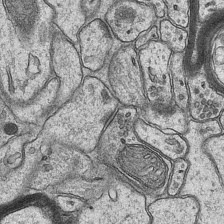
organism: Mouse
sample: CA1 Hippocampus